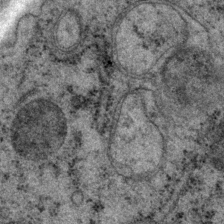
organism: P. pacificus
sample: Pharynx